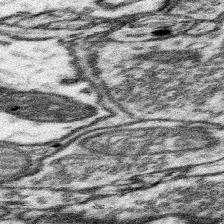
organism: Mouse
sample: Somatosensory cortex neuropil